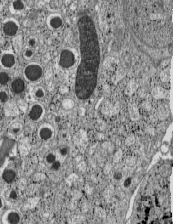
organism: C57BL Mouse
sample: Pancreatic islet